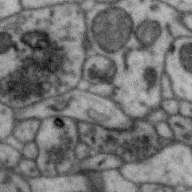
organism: Zebra finch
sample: Brain